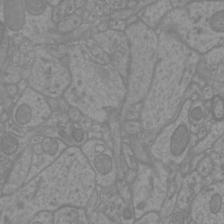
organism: Mouse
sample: Cortical neurons